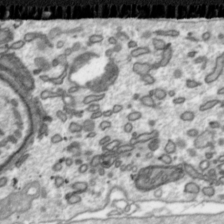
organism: Toxoplasma gondii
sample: Parasites in a vacuole inside a host cell